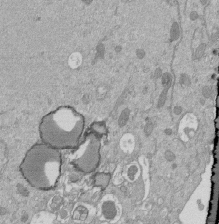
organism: Mouse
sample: ED-1 cell nuclei; centrioles